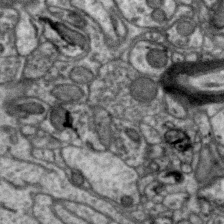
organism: Zebra finch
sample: Brain